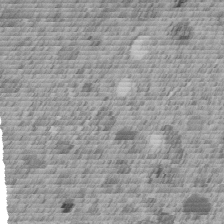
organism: C. elegans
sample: C. elegans embryo early stage